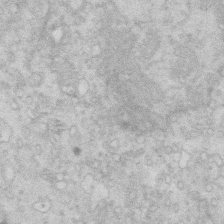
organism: Mouse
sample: Multiciliated cells